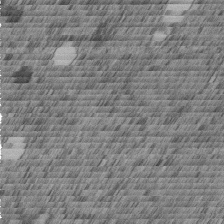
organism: C. elegans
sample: C. elegans embryo early stage